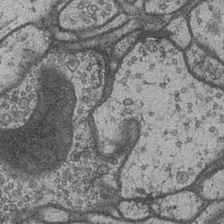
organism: Drosophila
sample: Optic medulla